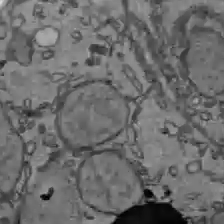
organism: C57BL Mouse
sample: Liver